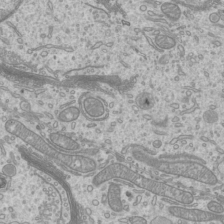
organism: Mouse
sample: Cilia; mouse epididymis